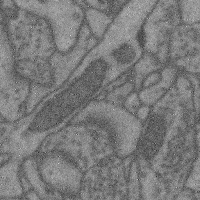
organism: Mouse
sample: Cerebral cortex